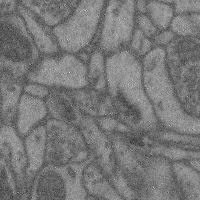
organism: Mouse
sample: Cerebral cortex